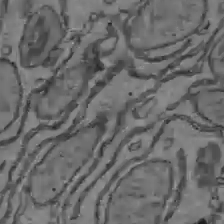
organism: C57BL Mouse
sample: Liver